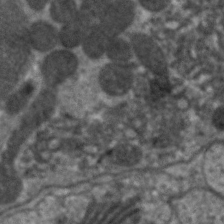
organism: C. elegans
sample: Pharynx